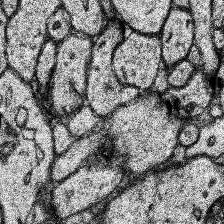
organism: Human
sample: Temporal Lobe